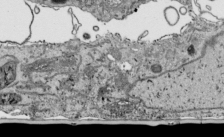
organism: Human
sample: Mitochondria in HCT116 cells